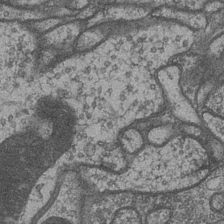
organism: Drosophila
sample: Optic medulla